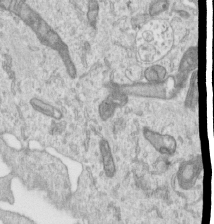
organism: Human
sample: Centriole in RPE cells